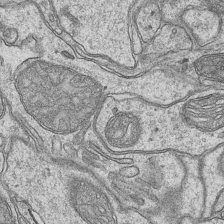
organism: Mouse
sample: CA1 Hippocampus